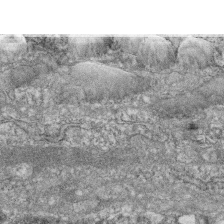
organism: Zebrafish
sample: Cilia; retinal pigment epithelium